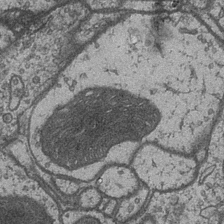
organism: Drosophila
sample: Optic medulla